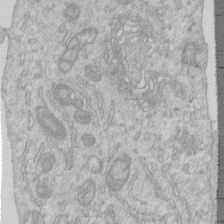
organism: Human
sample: Centriole in RPE cells